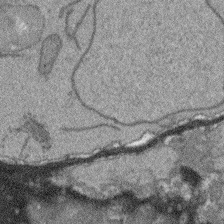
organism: Arabidopsis thaliana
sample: Root tip